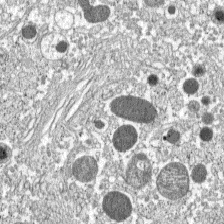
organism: C57BL Mouse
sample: Pancreatic islet